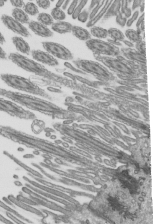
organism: Mouse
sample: Mouse epididymis efferent ductule cilia